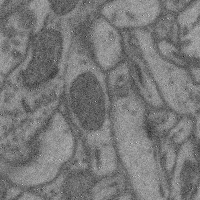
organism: Mouse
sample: Cerebral cortex